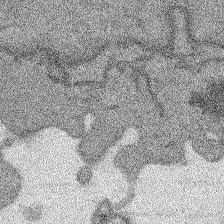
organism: Human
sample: HeLa cells